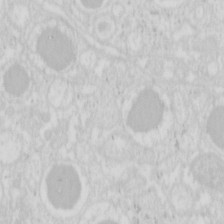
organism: Mouse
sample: Pancreas